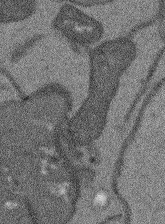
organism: Arabidopsis thaliana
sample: Root tip